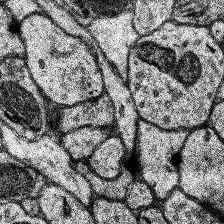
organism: Human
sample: Temporal Lobe